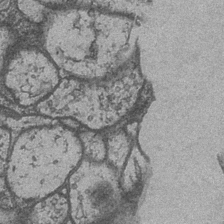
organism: Drosophila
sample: Optic medulla